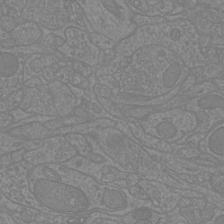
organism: Mouse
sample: Cortical neurons